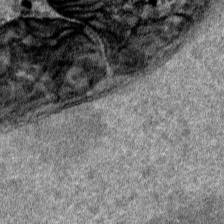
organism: Human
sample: Mitochondria in HCT116 cells